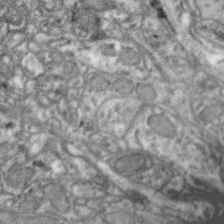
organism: Zebra finch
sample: Brain